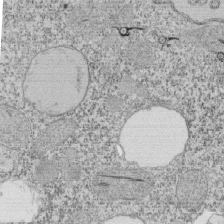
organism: Tetrahymena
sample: Cilia in tetrahymena